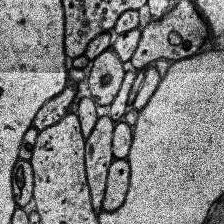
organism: Human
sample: Temporal Lobe